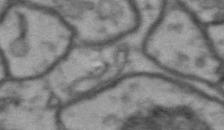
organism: Drosophila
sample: Brain